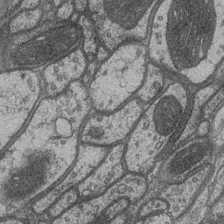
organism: Drosophila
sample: Optic medulla